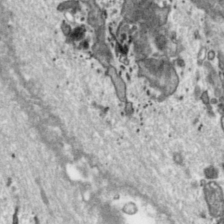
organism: Toxoplasma gondii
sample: Parasites in a vacuole inside a host cell